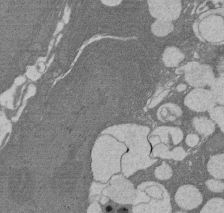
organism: Rat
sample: Salivary granule